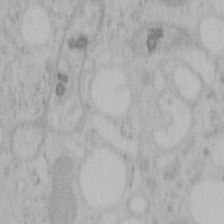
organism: Mouse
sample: OT-I killer T cells with ID8 ovarian cancer cells